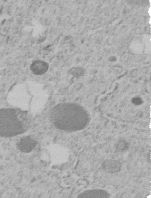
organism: C. elegans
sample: C. elegans embryo early stage